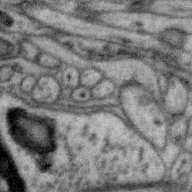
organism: Zebra finch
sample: Brain